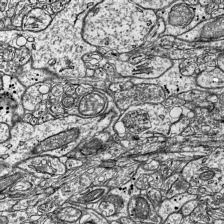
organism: Mouse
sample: Visual Cortex